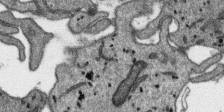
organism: Human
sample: Lung epithelial cells, uninfected (mock) control